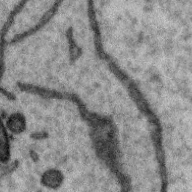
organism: Zebra finch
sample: Brain